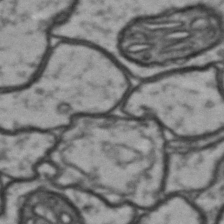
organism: Drosophila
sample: Brain